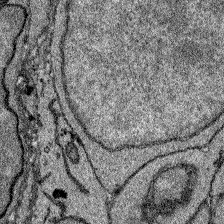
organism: Zebrafish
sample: Larval olfactory bulb